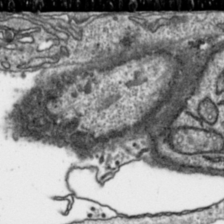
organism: Toxoplasma gondii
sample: Parasites in a vacuole inside a host cell